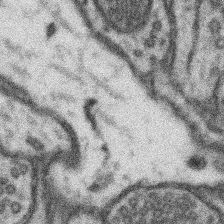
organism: Mouse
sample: Somatosensory cortex neuropil